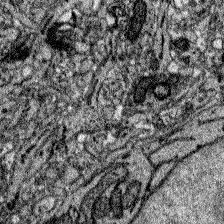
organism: Zebrafish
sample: Larval olfactory bulb